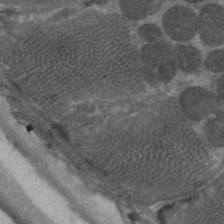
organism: C. elegans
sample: Pharynx